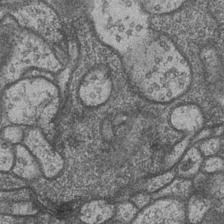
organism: Drosophila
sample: Optic medulla